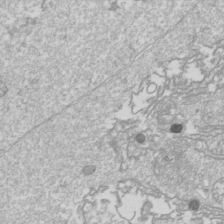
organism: Drosophila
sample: Cell division; meiosis; drosophila spermatocytes